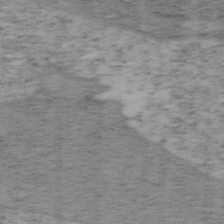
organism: Mouse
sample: OT-I killer T cells with ID8 ovarian cancer cells